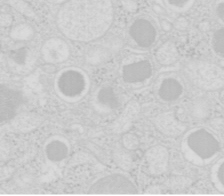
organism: Mouse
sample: Pancreas